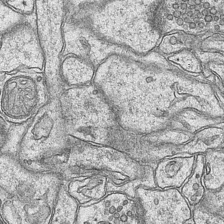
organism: Mouse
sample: CA1 Hippocampus